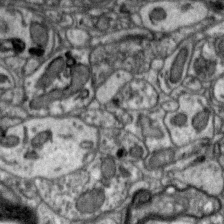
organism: Zebra finch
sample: Brain